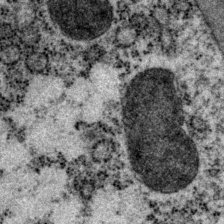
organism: P. pacificus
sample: Pharynx